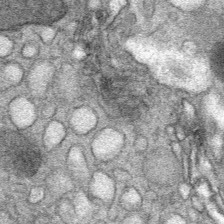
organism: Mouse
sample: Mouse Salivary gland